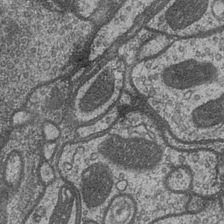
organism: Drosophila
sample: Optic medulla